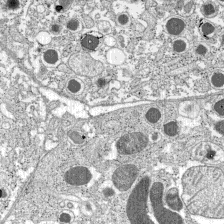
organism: C57BL Mouse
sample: Pancreatic islet